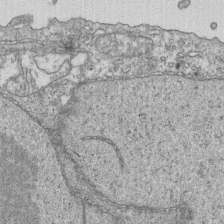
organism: Human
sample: HeLa cell HIV synapse